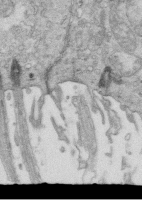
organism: Mouse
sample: Multiciliated cells